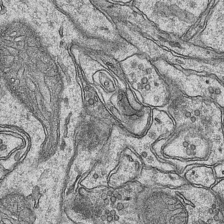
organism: Mouse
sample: CA1 Hippocampus